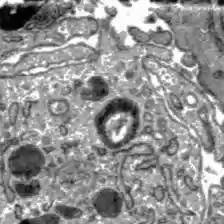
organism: C57BL Mouse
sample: Liver